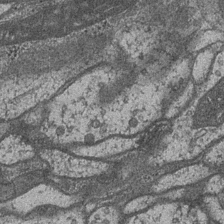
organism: Drosophila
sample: Optic medulla